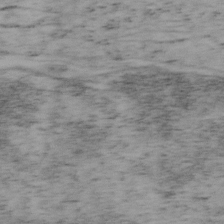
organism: Mouse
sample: OT-I killer T cells with ID8 ovarian cancer cells